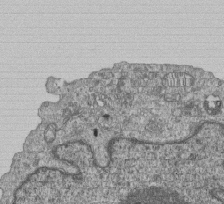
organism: Human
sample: MDA-MB-231 cells